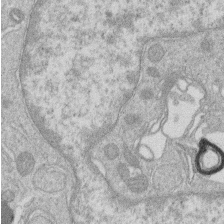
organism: Human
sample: Macrophage cells